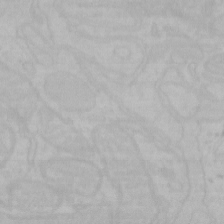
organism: Mouse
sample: Choroid plexus